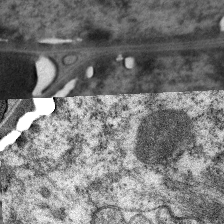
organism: C. elegans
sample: Pharynx